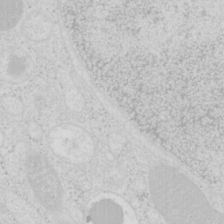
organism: Mouse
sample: Pancreas